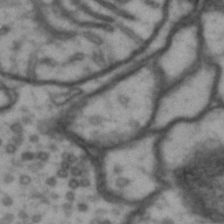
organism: Drosophila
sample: Brain